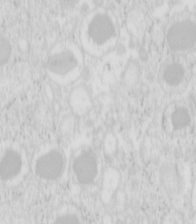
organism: Mouse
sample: Pancreas